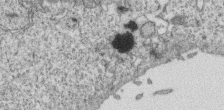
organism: Human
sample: HeLa cell HIV synapse